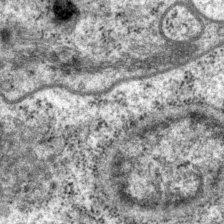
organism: P. pacificus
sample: Pharynx